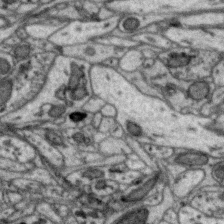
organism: Zebra finch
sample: Brain